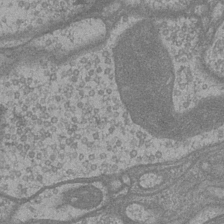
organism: Drosophila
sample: Optic medulla